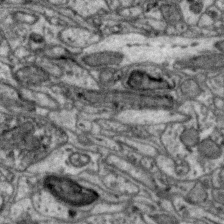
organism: Zebra finch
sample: Brain